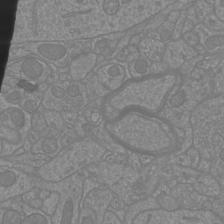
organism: Mouse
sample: Cortical neurons